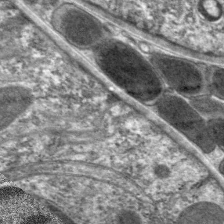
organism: C. elegans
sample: Pharynx